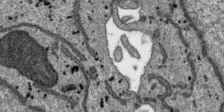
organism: Human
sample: Lung epithelial cells, uninfected (mock) control